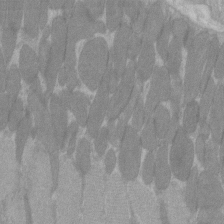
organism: C57BL Mouse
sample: Tibialis anterior muscle cell